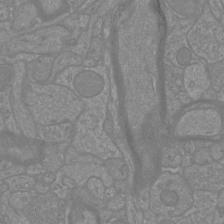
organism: Mouse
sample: Cortical neurons